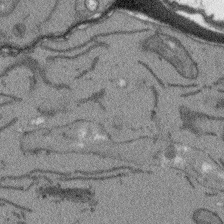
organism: Arabidopsis thaliana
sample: Root tip